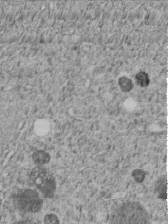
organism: C. elegans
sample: C. elegans embryo early stage